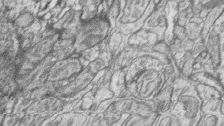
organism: Zebrafish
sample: synaptic ribbons in rod cells and cone cells